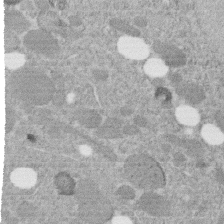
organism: C. elegans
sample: C. elegans embryo early stage